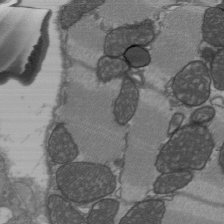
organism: C57BL Mouse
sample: Heart